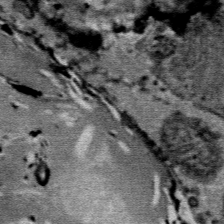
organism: Mouse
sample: Mouse Salivary gland